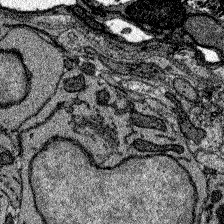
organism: Zebrafish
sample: Larval olfactory bulb